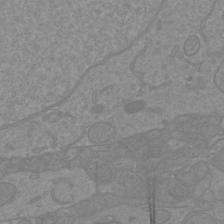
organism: Mouse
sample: Cortical neurons